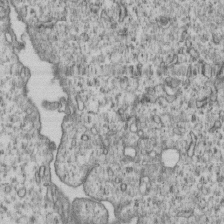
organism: Human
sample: MDA-MB-231 cells